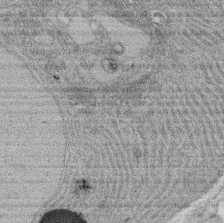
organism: Rat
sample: Salivary granule